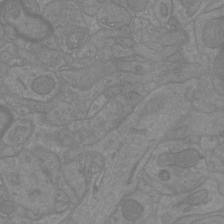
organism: Mouse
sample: Cortical neurons